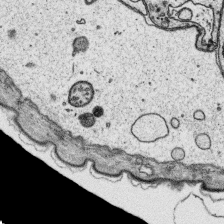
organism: Platynereis dumerilii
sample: Parapodia